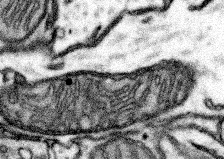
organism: Mouse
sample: Somatosensory cortex neuropil